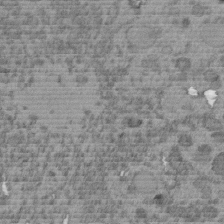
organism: C. elegans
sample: C. elegans embryo early stage